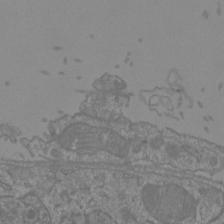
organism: Mouse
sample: Cortical neurons